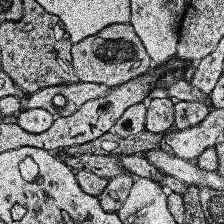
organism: Human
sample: Temporal Lobe